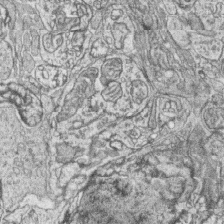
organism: Zebrafish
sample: synaptic ribbons in rod cells and cone cells